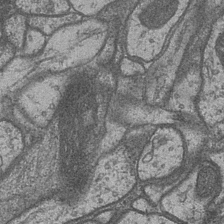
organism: Drosophila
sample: Optic medulla